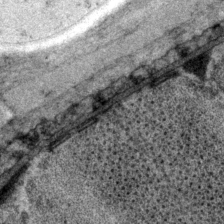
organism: P. pacificus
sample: Pharynx